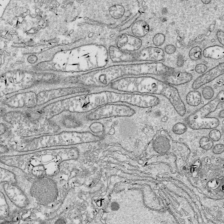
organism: Drosophila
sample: Cell division; meiosis; drosophila spermatocytes